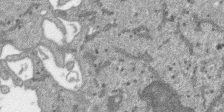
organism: Human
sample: Lung epithelial cells infected with SARS-CoV-2